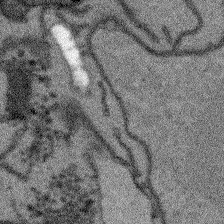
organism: Arabidopsis thaliana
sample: Root tip